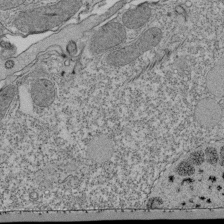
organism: Tetrahymena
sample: Cilia in tetrahymena